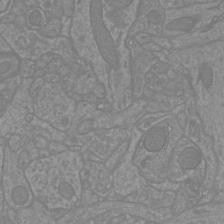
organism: Mouse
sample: Cortical neurons